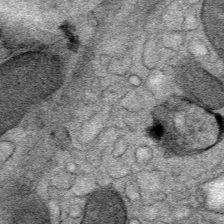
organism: Mouse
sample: Mouse Salivary gland